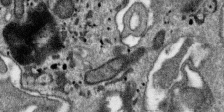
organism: Human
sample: Lung epithelial cells, uninfected (mock) control